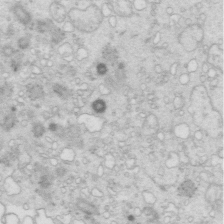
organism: Mouse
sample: Multiciliated cells